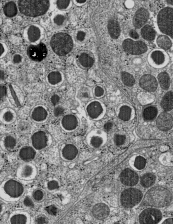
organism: C57BL Mouse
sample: Pancreatic islet